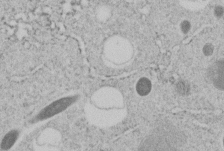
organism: C. elegans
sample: C. elegans embryo early stage